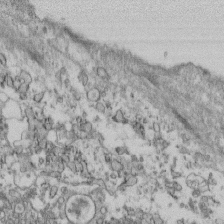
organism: Mouse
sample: Cilia; retinal pigment epithelium